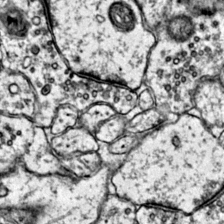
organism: Mouse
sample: Primary visual cortex